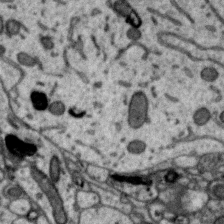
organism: Zebra finch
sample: Brain